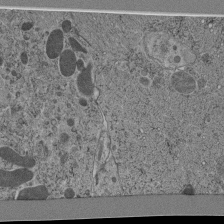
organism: C. elegans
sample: C. elegans pharynx